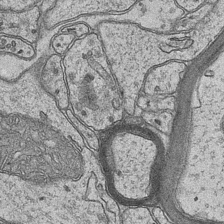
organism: Mouse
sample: CA1 Hippocampus